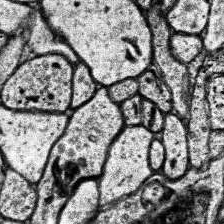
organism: Human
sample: Temporal Lobe